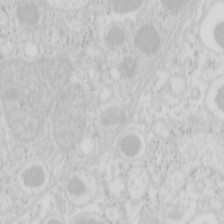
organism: Mouse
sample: Pancreas